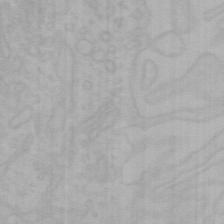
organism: Mouse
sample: Choroid plexus